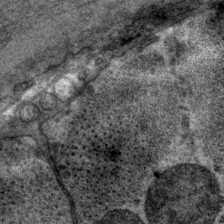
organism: P. pacificus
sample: Pharynx